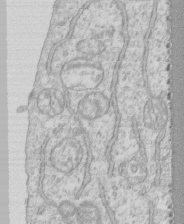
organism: Human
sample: CRL-1474